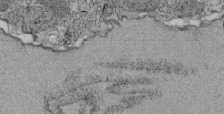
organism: Tetrahymena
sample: Cilia in tetrahymena